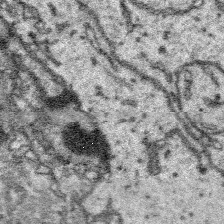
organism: Platynereis dumerilii